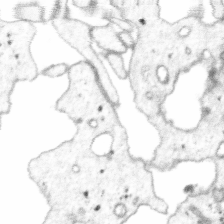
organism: Human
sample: HeLa cells